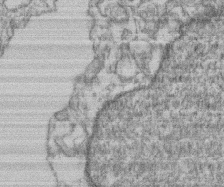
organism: Mouse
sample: T cell stromal cell synapse